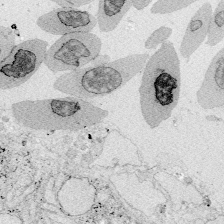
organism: Zebrafish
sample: Whole-Brain